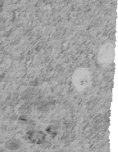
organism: C. elegans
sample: C. elegans embryo early stage